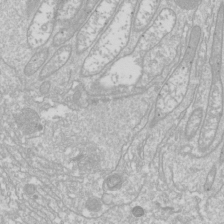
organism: Drosophila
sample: Cell division; meiosis; drosophila spermatocytes